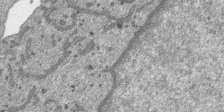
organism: Human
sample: Lung epithelial cells infected with SARS-CoV-2